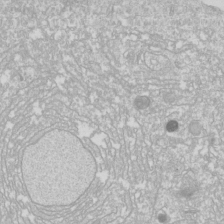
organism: Drosophila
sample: Cell division; meiosis; drosophila spermatocytes